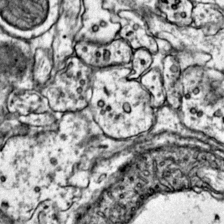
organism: Mouse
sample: Primary visual cortex